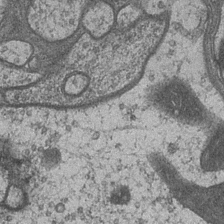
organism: Drosophila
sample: Optic medulla